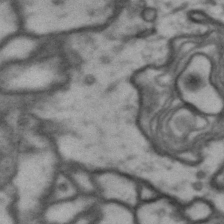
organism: Drosophila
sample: Brain